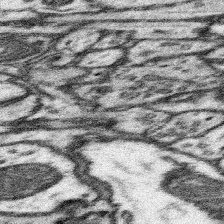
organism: Mouse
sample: Somatosensory cortex neuropil